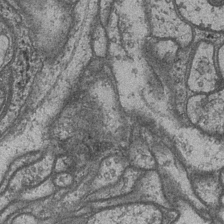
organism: Drosophila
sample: Optic medulla